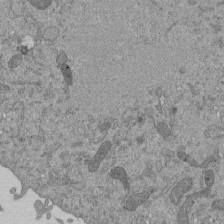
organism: Mouse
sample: ED-1 cell nuclei; centrioles